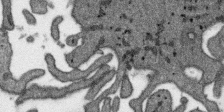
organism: Human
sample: Lung epithelial cells, uninfected (mock) control